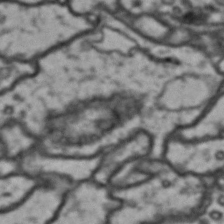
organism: Drosophila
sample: Brain